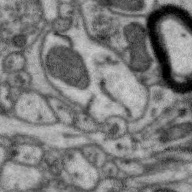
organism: Zebra finch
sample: Brain